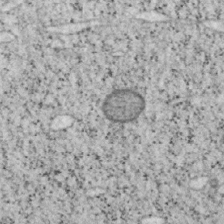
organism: Mouse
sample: OT-I killer T cells with ID8 ovarian cancer cells